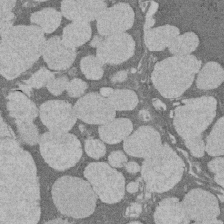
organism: Rat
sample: Salivary granule